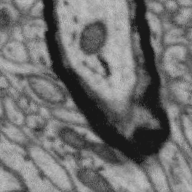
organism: Zebra finch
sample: Brain